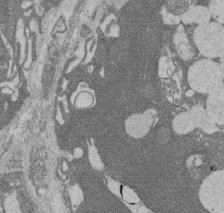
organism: Rat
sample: Salivary granule